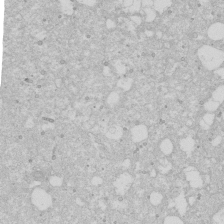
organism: Human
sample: Caco-2 cells